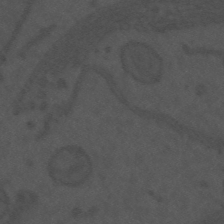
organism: Mouse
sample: Suprachiasmatic nucleus